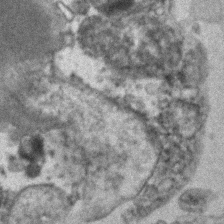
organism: Human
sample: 1205lu cells